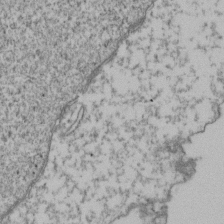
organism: Human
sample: Activated Jurkat CD4+ T cells